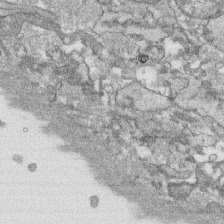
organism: Human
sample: CRL-1474